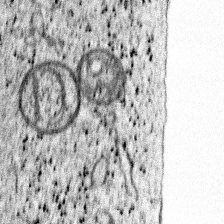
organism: Human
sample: HeLa cells